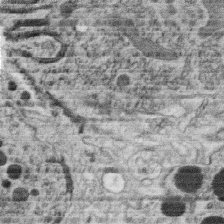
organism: C. elegans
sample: C. elegans oocyte; sperm cells